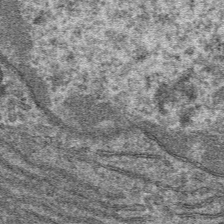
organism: Mouse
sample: Mouse hepatocytes